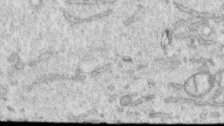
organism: Human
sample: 1205lu cells